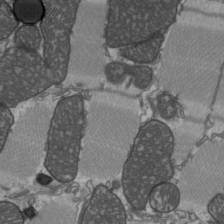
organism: C57BL Mouse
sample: Heart